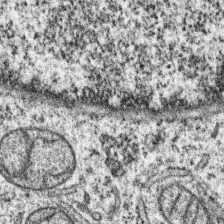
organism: Human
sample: HeLa cells